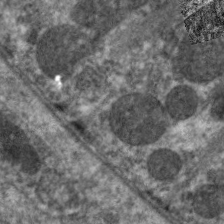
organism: C. elegans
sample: Pharynx